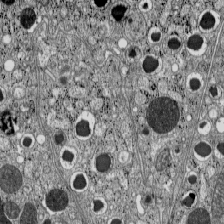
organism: C57BL Mouse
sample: Pancreatic islet